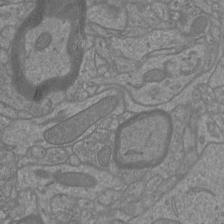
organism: Mouse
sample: Cortical neurons